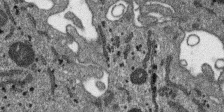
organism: Human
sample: Lung epithelial cells infected with SARS-CoV-2